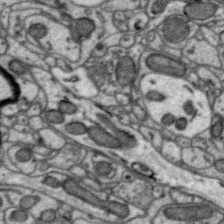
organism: Zebra finch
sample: Brain